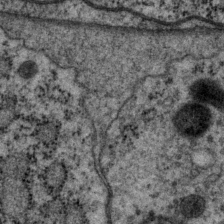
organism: P. pacificus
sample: Pharynx